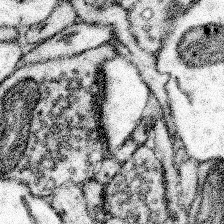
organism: Mouse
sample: Somatosensory cortex neuropil